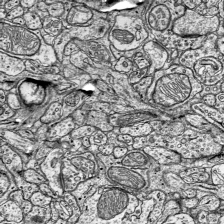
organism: Mouse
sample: Visual Cortex